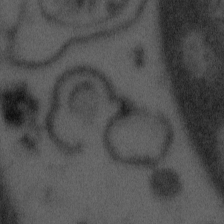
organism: Tuwongella immobilis